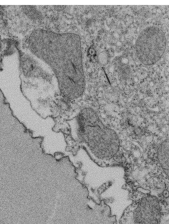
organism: Tetrahymena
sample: Cilia in tetrahymena